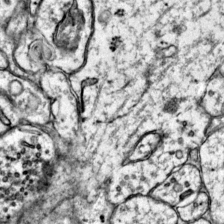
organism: Mouse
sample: Primary visual cortex